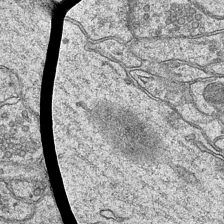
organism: Mouse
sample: CA1 Hippocampus